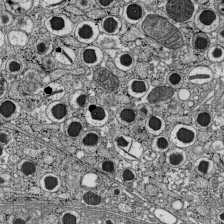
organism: C57BL Mouse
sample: Pancreatic islet